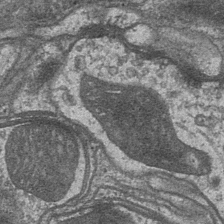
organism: Drosophila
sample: Optic medulla